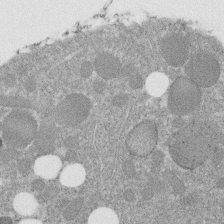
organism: C. elegans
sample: C. elegans embryo early stage